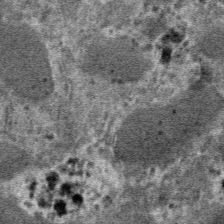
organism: Mouse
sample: Mouse hepatocytes